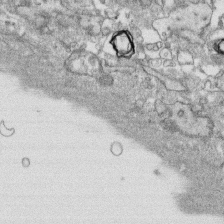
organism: Human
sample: CRL-1474